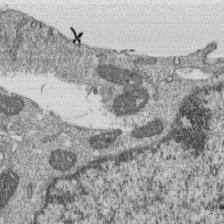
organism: African green monkey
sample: Vero E6 cells infected with SARS-CoV-2